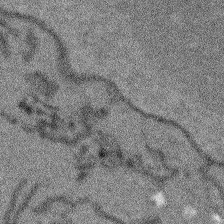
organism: Arabidopsis thaliana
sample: Root tip